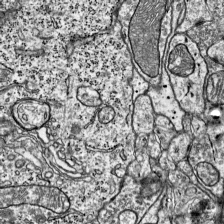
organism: Mouse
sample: Visual Cortex